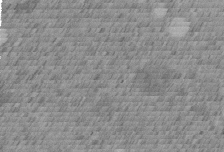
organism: C. elegans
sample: C. elegans embryo early stage